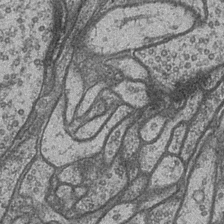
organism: Drosophila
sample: Optic medulla